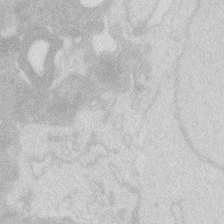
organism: Zebrafish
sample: Macrophage